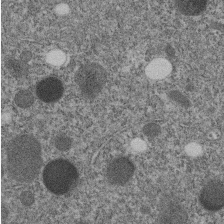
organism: C. elegans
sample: C. elegans embryo early stage